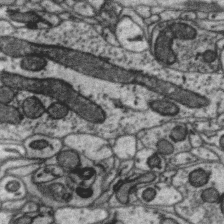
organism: Zebra finch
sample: Brain